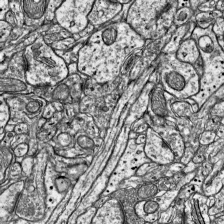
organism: Mouse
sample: Visual Cortex